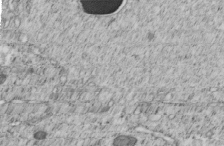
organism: C. elegans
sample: C. elegans embryo early stage